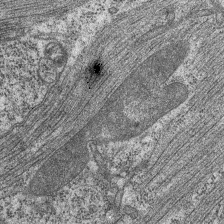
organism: C. elegans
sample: Pharynx